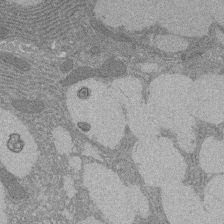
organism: Rat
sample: Salivary granule